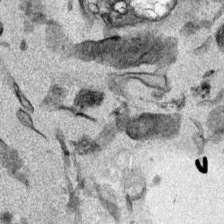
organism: Mouse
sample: Cancer cell death in ED-1 cells